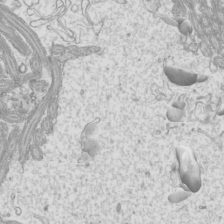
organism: Mouse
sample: Cilia; mouse epididymis